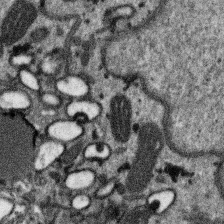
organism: Human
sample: Lung epithelial cells infected with SARS-CoV-2